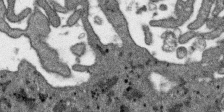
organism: Human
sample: Lung epithelial cells, uninfected (mock) control